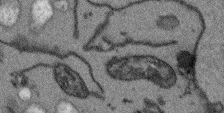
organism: Arabidopsis thaliana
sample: Root tip